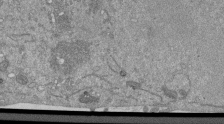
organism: Mouse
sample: ED-1 cell nuclei; centrioles